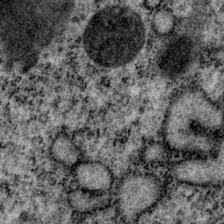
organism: P. pacificus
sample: Pharynx